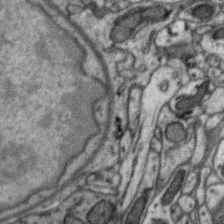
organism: Zebra finch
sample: Brain